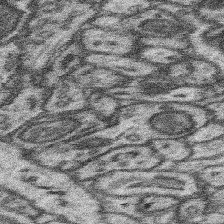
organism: Mouse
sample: Somatosensory cortex neuropil